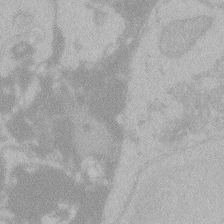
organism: Zebrafish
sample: Macrophage infected with Toxoplasma gondii